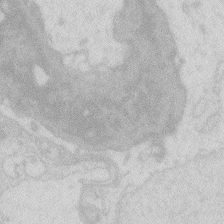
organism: Zebrafish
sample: Macrophage